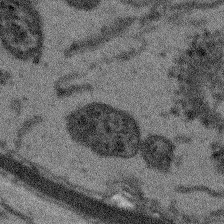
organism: Arabidopsis thaliana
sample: Root tip